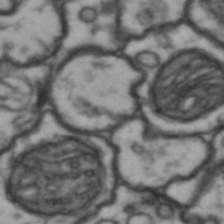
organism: Drosophila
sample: Brain